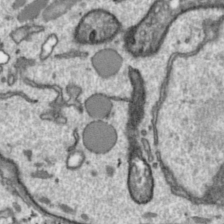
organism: Toxoplasma gondii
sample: Parasites in a vacuole inside a host cell